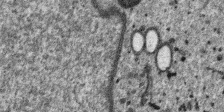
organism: Human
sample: Lung epithelial cells infected with SARS-CoV-2